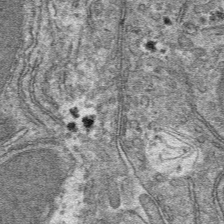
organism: Mouse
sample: Mouse hepatocytes